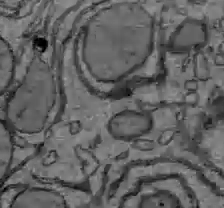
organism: C57BL Mouse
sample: Liver